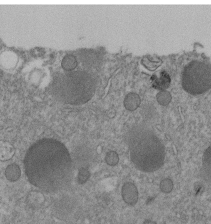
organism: C. elegans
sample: C. elegans embryo early stage